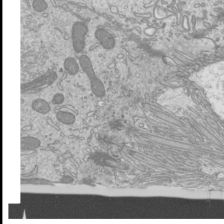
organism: Mouse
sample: Cilia; mouse epididymis